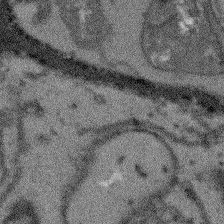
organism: Arabidopsis thaliana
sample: Root tip